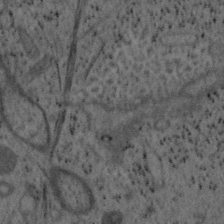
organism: Human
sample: HeLa cells